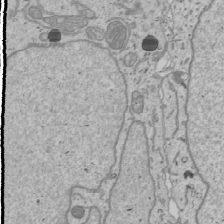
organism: Human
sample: Mitochondria in U2OS cells